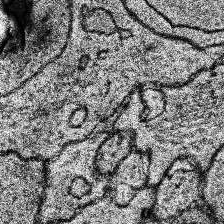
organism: Human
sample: Temporal Lobe